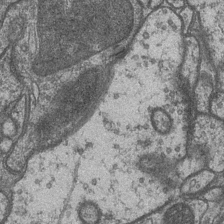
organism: Drosophila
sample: Optic medulla